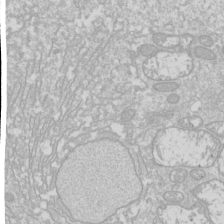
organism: Drosophila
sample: Cell division; meiosis; drosophila spermatocytes